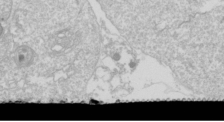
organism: Drosophila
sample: Cell division; meiosis; drosophila spermatocytes